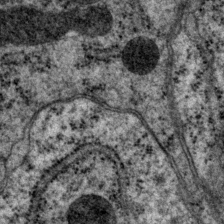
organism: P. pacificus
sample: Pharynx